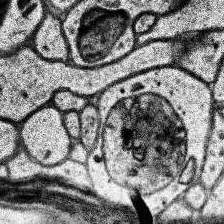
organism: Human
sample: Temporal Lobe